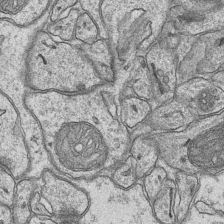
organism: Mouse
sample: CA1 Hippocampus